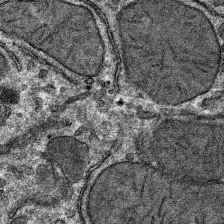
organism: Mouse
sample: Mouse hepatocytes